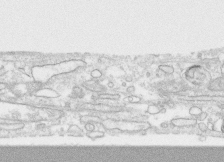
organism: Human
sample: CRL-1474